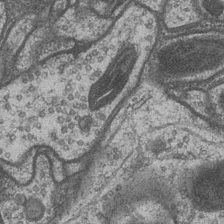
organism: Drosophila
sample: Optic medulla